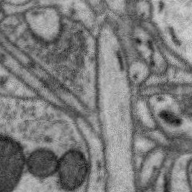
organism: Zebra finch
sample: Brain